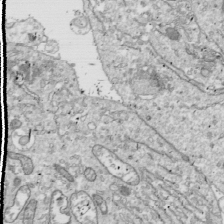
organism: Drosophila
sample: Cell division; meiosis; drosophila spermatocytes